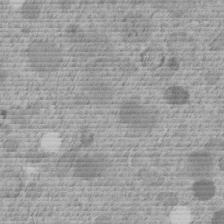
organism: C. elegans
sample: C. elegans embryo early stage